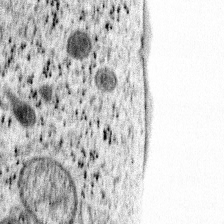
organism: Human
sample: HeLa cells